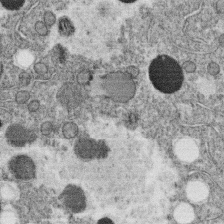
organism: C. elegans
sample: C. elegans oocyte; sperm cells